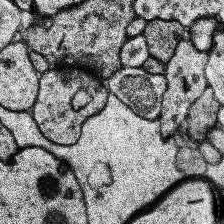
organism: Human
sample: Temporal Lobe